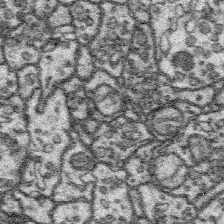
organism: Platynereis dumerilii